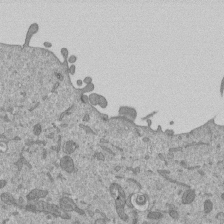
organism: Mouse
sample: ED-1 cell nuclei; centrioles